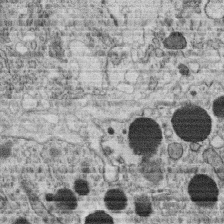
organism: C. elegans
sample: C. elegans oocyte; sperm cells